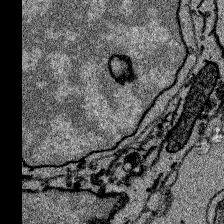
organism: Zebrafish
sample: Larval olfactory bulb